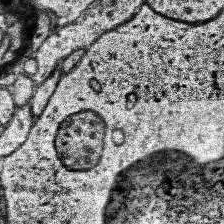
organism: Human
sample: Temporal Lobe